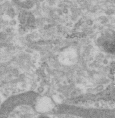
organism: Human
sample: Centriole in RPE cells